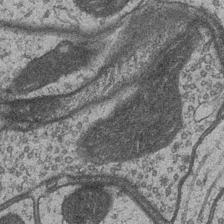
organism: Drosophila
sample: Optic medulla